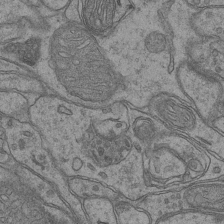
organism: Mouse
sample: CA1 Hippocampus